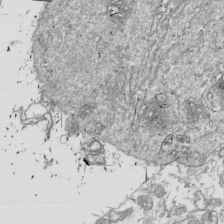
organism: Drosophila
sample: Cell division; meiosis; drosophila spermatocytes